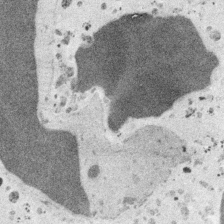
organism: Embia sp.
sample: Silk gland